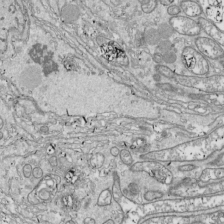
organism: Drosophila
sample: Cell division; meiosis; drosophila spermatocytes